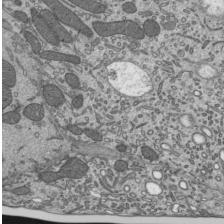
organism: Mouse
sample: Mouse epididymis efferent ductule cilia